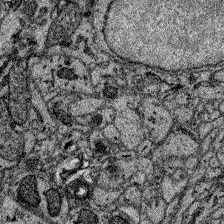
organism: Zebrafish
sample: Larval olfactory bulb